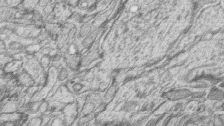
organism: Zebrafish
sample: synaptic ribbons in rod cells and cone cells